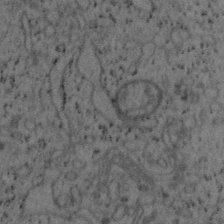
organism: Human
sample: HeLa cells